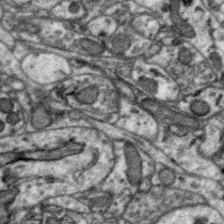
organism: Zebra finch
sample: Brain